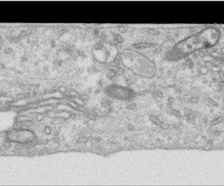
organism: Human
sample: Centriole in RPE cells